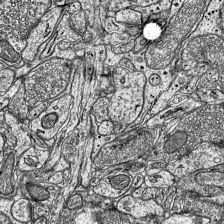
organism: Mouse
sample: Visual Cortex